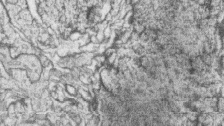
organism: Zebrafish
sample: synaptic ribbons in rod cells and cone cells